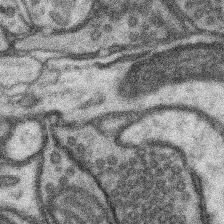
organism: Mouse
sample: Somatosensory cortex neuropil